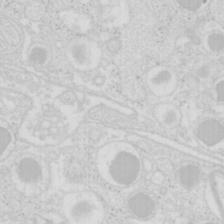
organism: Mouse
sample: Pancreas